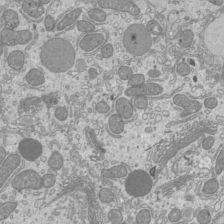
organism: Mouse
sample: Cilia; mouse epididymis